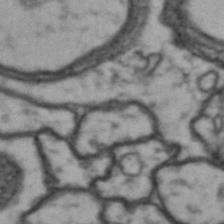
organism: Drosophila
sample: Brain